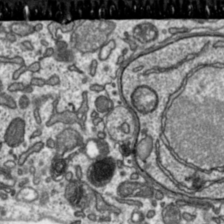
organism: Toxoplasma gondii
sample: Parasites in a vacuole inside a host cell